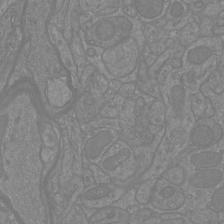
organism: Mouse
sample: Cortical neurons